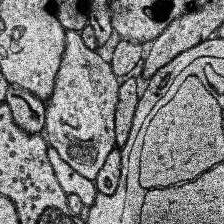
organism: Human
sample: Temporal Lobe